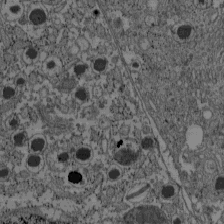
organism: C57BL Mouse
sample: Pancreatic islet